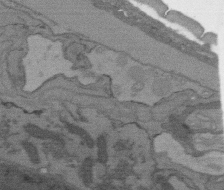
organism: C. elegans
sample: AFD neurons C. elegans